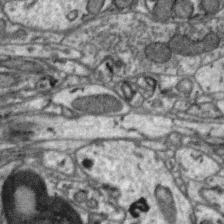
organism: Zebra finch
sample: Brain